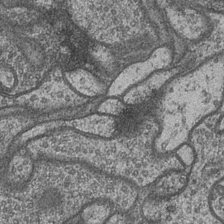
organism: Drosophila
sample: Optic medulla